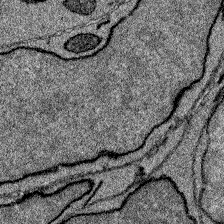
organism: Zebrafish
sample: Larval olfactory bulb